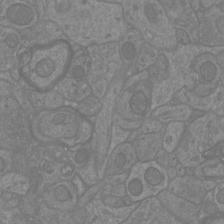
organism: Mouse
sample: Cortical neurons